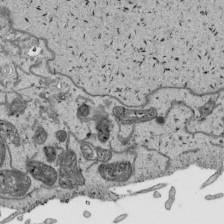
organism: Human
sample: Mitochondria in HCT116 cells